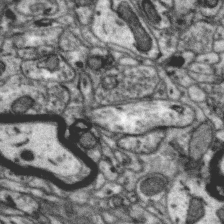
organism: Zebra finch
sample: Brain